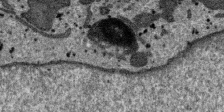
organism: Human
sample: Lung epithelial cells, uninfected (mock) control